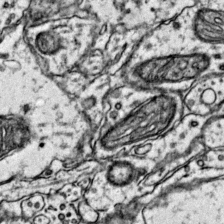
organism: Mouse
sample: Primary visual cortex